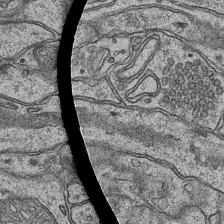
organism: Mouse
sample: CA1 Hippocampus